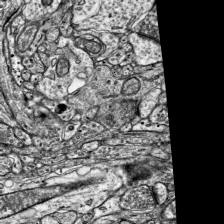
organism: Mouse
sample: Visual Cortex